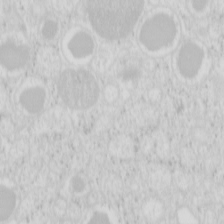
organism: Mouse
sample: Pancreas